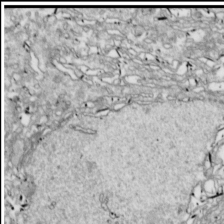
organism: Drosophila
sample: Cell division; meiosis; drosophila spermatocytes